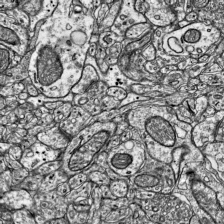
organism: Mouse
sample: Visual Cortex